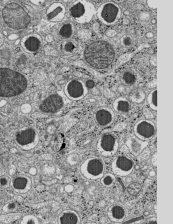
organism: C57BL Mouse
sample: Pancreatic islet